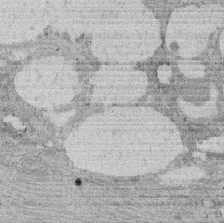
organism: Rat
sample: Salivary granule